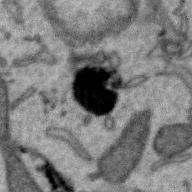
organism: Zebra finch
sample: Brain